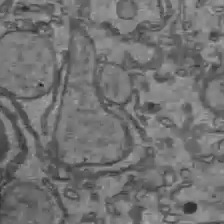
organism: C57BL Mouse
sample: Liver